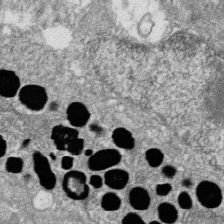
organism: Zebrafish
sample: Cilia; retinal pigment epithelium